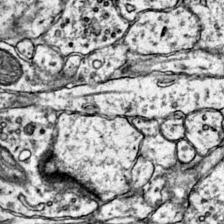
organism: Mouse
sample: Primary visual cortex